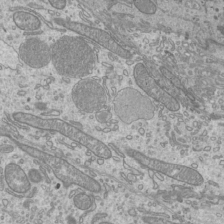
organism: Mouse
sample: Cilia; mouse epididymis